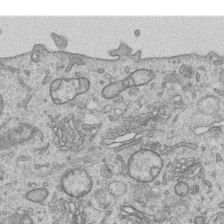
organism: Human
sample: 1205lu cells